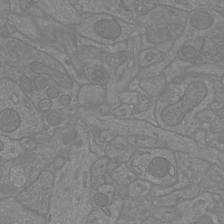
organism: Mouse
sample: Cortical neurons